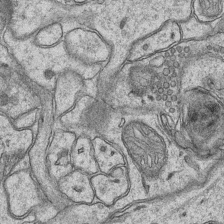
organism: Mouse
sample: CA1 Hippocampus